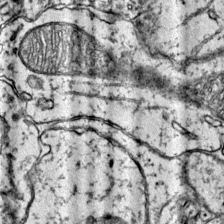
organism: Mouse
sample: Primary visual cortex